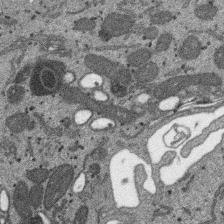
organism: Human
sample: Lung epithelial cells infected with SARS-CoV-2